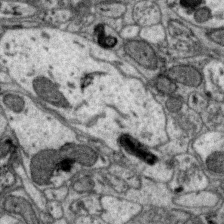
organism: Zebra finch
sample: Brain